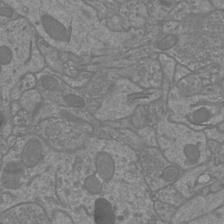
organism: Mouse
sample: Cortical neurons